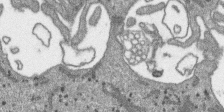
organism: Human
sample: Lung epithelial cells infected with SARS-CoV-2